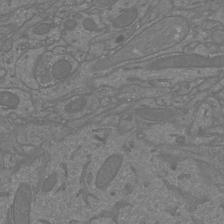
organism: Mouse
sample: Cortical neurons